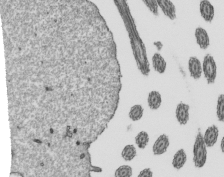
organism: Mouse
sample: Mouse epididymis efferent ductule cilia